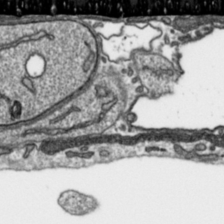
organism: Toxoplasma gondii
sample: Parasites in a vacuole inside a host cell